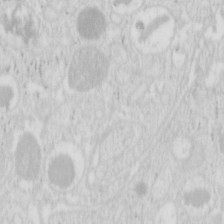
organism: Mouse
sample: Pancreas